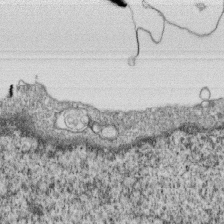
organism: African green monkey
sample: Vero E6 cells infected with SARS-CoV-2